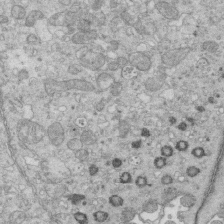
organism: Mouse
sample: Multiciliated cells